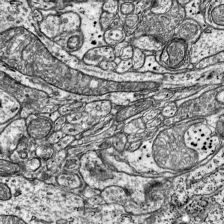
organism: Mouse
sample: Visual Cortex